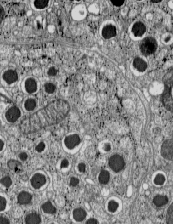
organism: C57BL Mouse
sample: Pancreatic islet